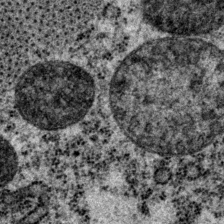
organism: P. pacificus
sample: Pharynx